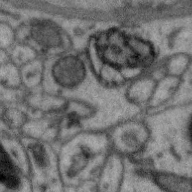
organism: Zebra finch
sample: Brain